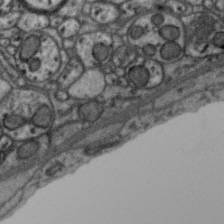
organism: Zebra finch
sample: Brain